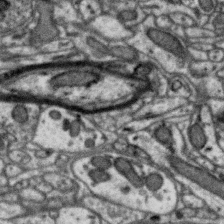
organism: Zebra finch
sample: Brain